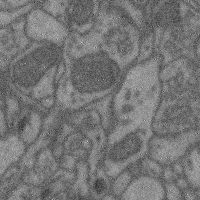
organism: Mouse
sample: Cerebral cortex